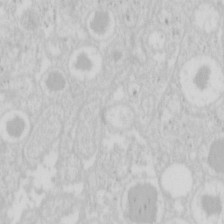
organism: Mouse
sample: Pancreas